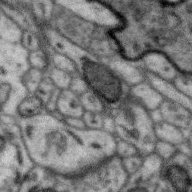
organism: Zebra finch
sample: Brain